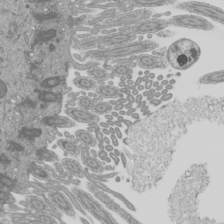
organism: Mouse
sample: Cilia; mouse epididymis